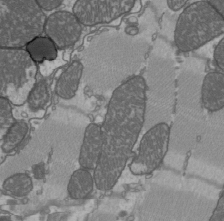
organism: C57BL Mouse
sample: Heart